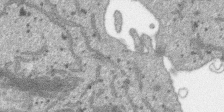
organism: Human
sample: Lung epithelial cells infected with SARS-CoV-2